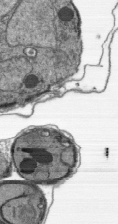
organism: Plasmodium falciparum